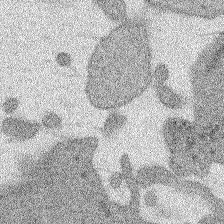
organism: Human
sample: HeLa cells